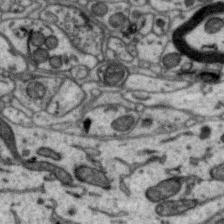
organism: Zebra finch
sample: Brain